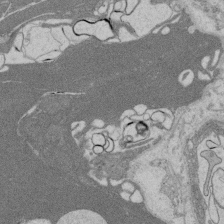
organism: Rat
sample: Salivary granule